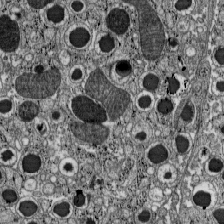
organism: C57BL Mouse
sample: Pancreatic islet